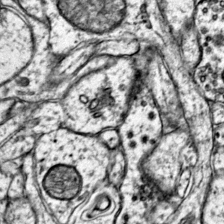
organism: Mouse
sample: Primary visual cortex